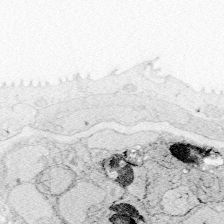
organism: Zebrafish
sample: Whole-Brain